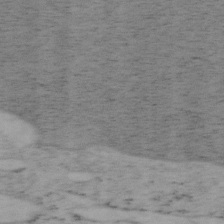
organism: Mouse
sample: OT-I killer T cells with ID8 ovarian cancer cells